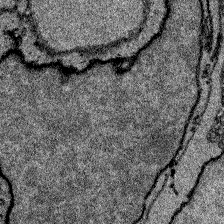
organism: Zebrafish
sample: Larval olfactory bulb